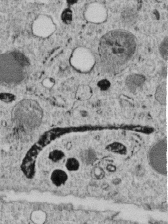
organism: C. elegans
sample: C. elegans embryo early stage